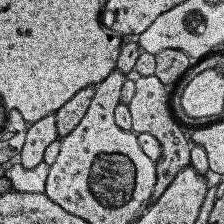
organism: Human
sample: Temporal Lobe